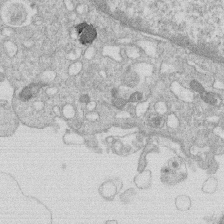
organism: Human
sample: Macrophage cells